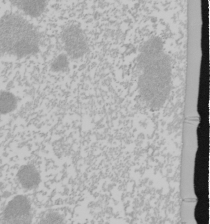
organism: Mouse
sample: Cancer cell death in ED-1 cells